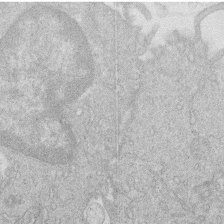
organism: Human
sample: Macrophage cells